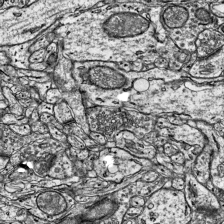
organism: Mouse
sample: Visual Cortex